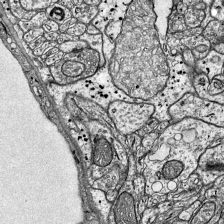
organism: Mouse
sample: Visual Cortex